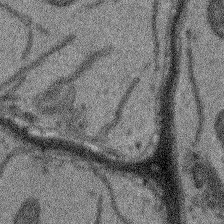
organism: Arabidopsis thaliana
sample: Root tip